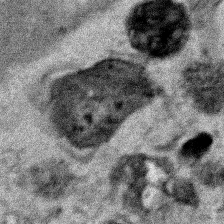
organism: Human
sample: Mitochondria in HCT116 cells